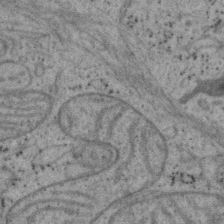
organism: Human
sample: HeLa cells